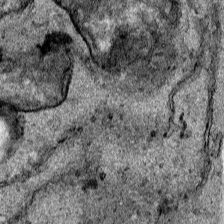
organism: Human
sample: Mitochondria in HCT116 cells